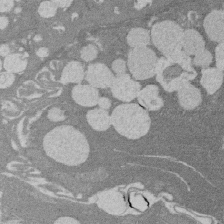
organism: Rat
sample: Salivary granule